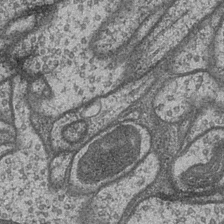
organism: Drosophila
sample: Optic medulla